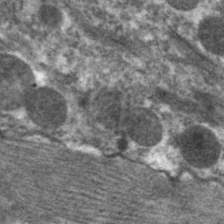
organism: C. elegans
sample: Pharynx